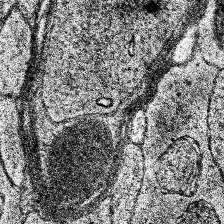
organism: Human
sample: Temporal Lobe